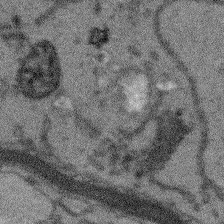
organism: Arabidopsis thaliana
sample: Root tip